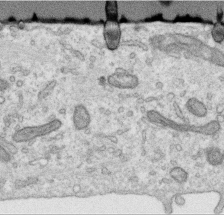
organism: Human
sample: Centriole in RPE cells